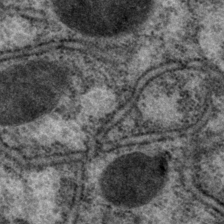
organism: P. pacificus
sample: Pharynx